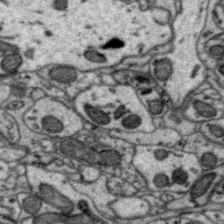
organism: Zebra finch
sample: Brain